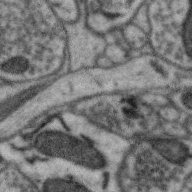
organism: Zebra finch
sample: Brain